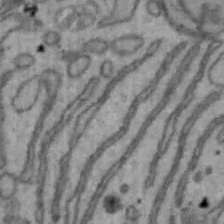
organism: Mouse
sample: Liver